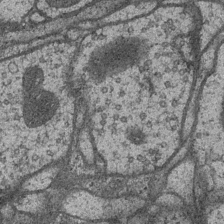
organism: Drosophila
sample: Optic medulla